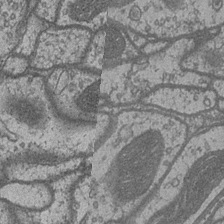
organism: Drosophila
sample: Optic medulla